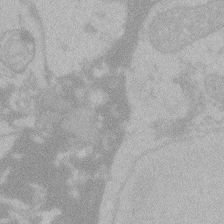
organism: Zebrafish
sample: Macrophage infected with Toxoplasma gondii